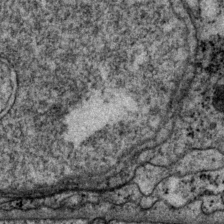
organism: P. pacificus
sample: Pharynx